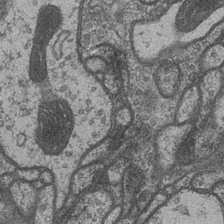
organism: Drosophila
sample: Optic medulla